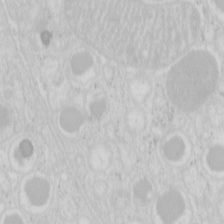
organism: Mouse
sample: Pancreas